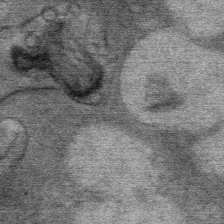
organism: Mouse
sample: Mouse Salivary gland